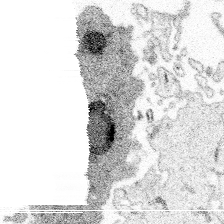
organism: Spongilla lacustris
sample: Multiple